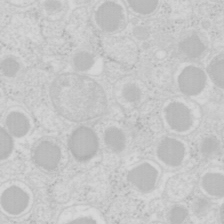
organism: Mouse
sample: Pancreas